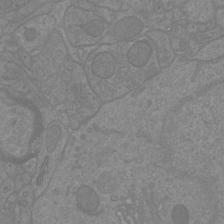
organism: Mouse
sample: Cortical neurons